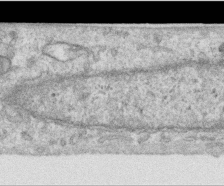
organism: Human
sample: Centriole in RPE cells